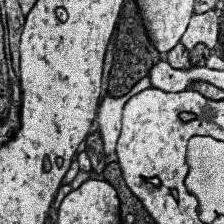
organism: Human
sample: Temporal Lobe